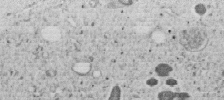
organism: C. elegans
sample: C. elegans embryo early stage